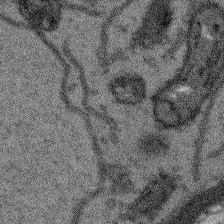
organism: Arabidopsis thaliana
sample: Root tip